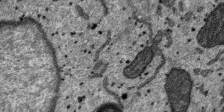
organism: Human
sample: Lung epithelial cells, uninfected (mock) control